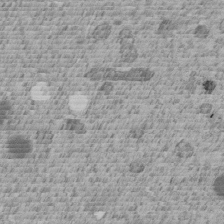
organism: C. elegans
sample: C. elegans embryo early stage